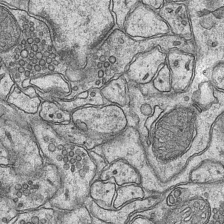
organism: Mouse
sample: CA1 Hippocampus